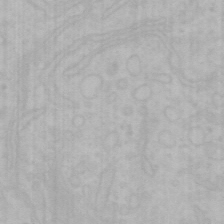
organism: Mouse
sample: Choroid plexus